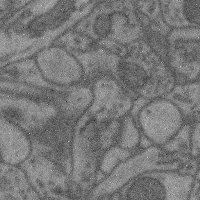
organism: Mouse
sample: Cerebral cortex